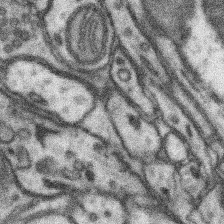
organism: Mouse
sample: Somatosensory cortex neuropil